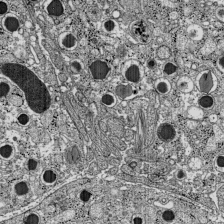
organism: C57BL Mouse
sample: Pancreatic islet